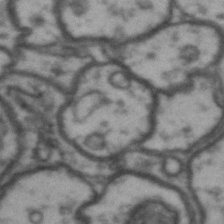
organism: Drosophila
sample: Brain